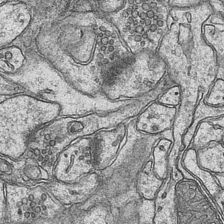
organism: Mouse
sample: CA1 Hippocampus